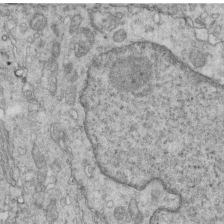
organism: Mouse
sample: Multiciliated cells